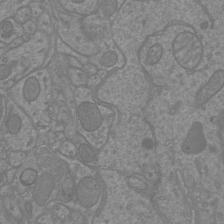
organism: Mouse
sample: Cortical neurons